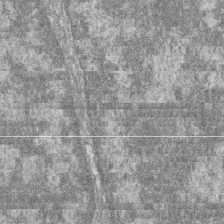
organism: Zebrafish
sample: Cilia; retinal pigment epithelium